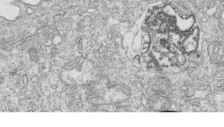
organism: Human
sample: HeLa cell HIV synapse